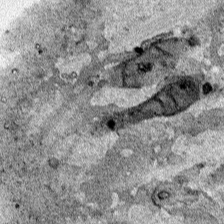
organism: Human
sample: Mitochondria in HCT116 cells